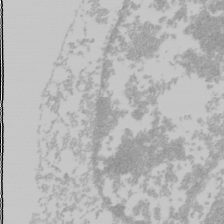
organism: Mouse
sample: Cancer cell death in ED-1 cells